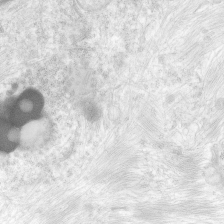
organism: Human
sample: Neocortex